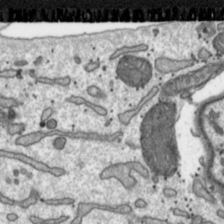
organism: Toxoplasma gondii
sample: Parasites in a vacuole inside a host cell